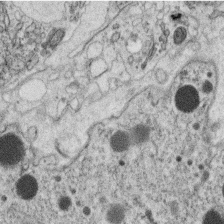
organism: C. elegans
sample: C. elegans oocyte; sperm cells